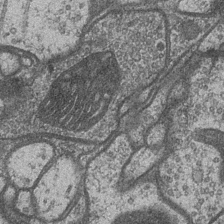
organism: Drosophila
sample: Optic medulla